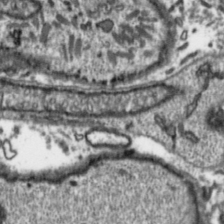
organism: Toxoplasma gondii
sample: Parasites in a vacuole inside a host cell